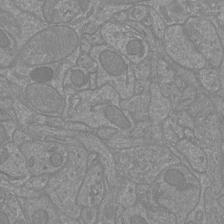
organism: Mouse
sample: Cortical neurons